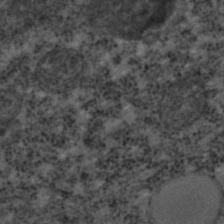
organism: C. elegans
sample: C. elegans embryo